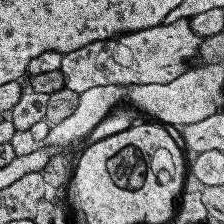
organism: Human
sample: Temporal Lobe